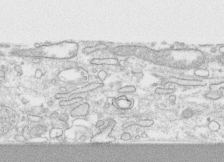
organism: Human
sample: CRL-1474